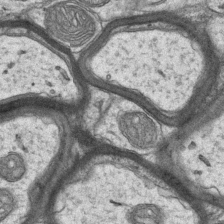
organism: Mouse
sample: CA1 Hippocampus